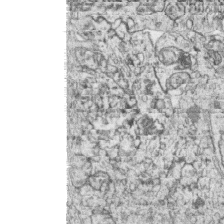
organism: Zebrafish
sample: synaptic ribbons in rod cells and cone cells